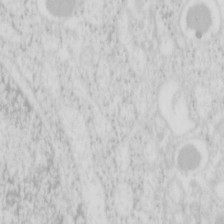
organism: Mouse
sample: Pancreas